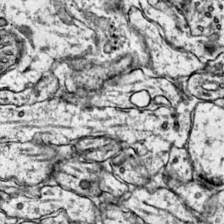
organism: Mouse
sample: Primary visual cortex